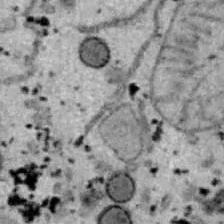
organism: Mouse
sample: Liver from an obese (ob/ob) mouse